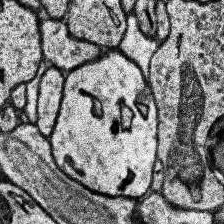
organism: Human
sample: Temporal Lobe